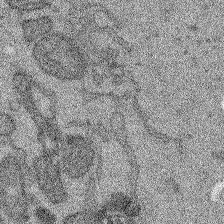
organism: Human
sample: HeLa cells